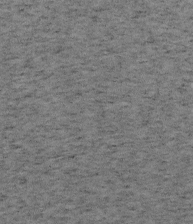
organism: Mouse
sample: OT-I killer T cells with ID8 ovarian cancer cells